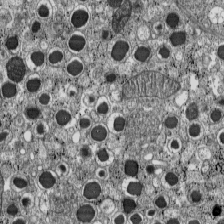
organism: C57BL Mouse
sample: Pancreatic islet